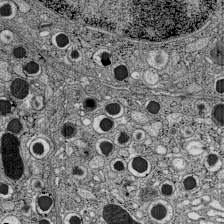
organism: C57BL Mouse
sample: Pancreatic islet